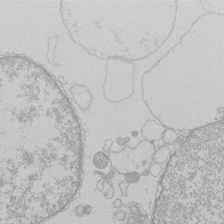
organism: Human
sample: Macrophage cells